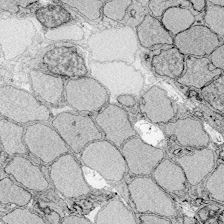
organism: Zebrafish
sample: Whole-Brain